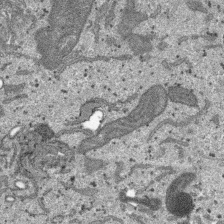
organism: Human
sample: Lung epithelial cells infected with SARS-CoV-2